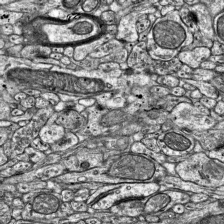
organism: Mouse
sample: Visual Cortex